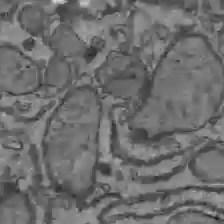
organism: C57BL Mouse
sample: Liver